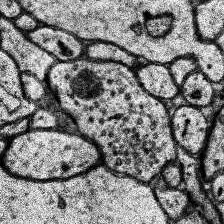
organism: Human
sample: Temporal Lobe